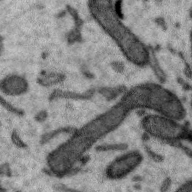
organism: Zebra finch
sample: Brain